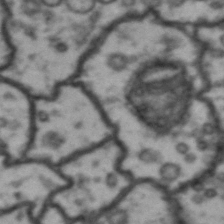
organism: Drosophila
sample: Brain